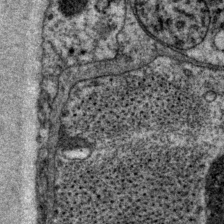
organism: P. pacificus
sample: Pharynx